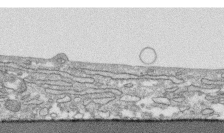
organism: Human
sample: CRL-1474